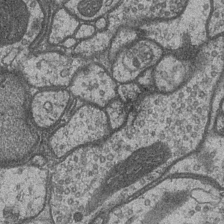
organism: Drosophila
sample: Optic medulla